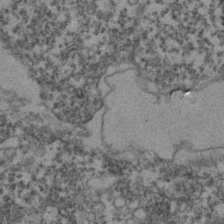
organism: Zebrafish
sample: Zebrafish embryo